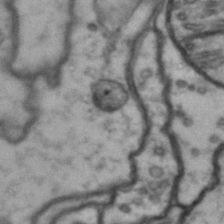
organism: Drosophila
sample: Brain